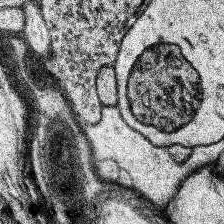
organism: Human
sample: Temporal Lobe